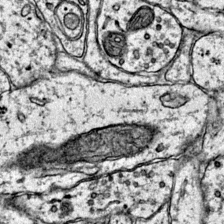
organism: Mouse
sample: Primary visual cortex